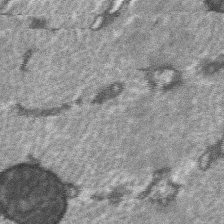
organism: C57BL Mouse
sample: Soleus